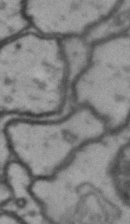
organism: Drosophila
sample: Brain